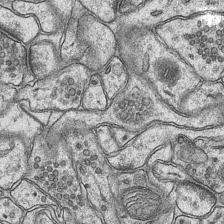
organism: Mouse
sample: CA1 Hippocampus